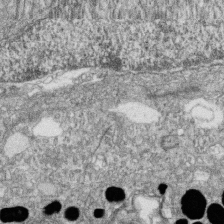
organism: Zebrafish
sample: Cilia; retinal pigment epithelium